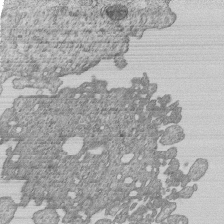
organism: Human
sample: MDA-MB-231 cells